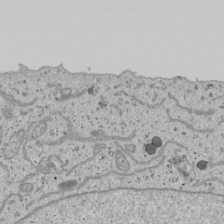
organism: Human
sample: Mitochondria in U2OS cells